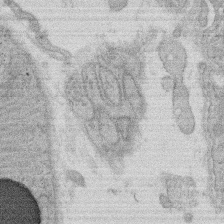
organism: Rat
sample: Salivary granule